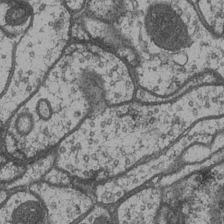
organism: Drosophila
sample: Optic medulla